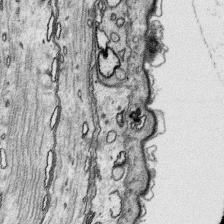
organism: Platynereis dumerilii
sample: Parapodia